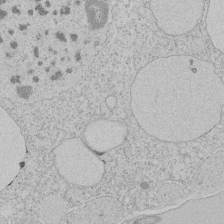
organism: Tetrahymena